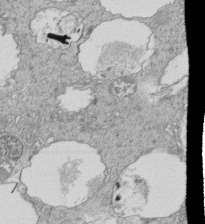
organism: Tetrahymena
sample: Cilia in tetrahymena